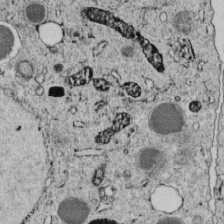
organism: C. elegans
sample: C. elegans embryo early stage